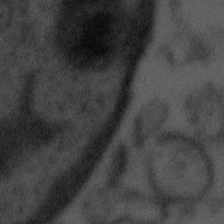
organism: Tuwongella immobilis